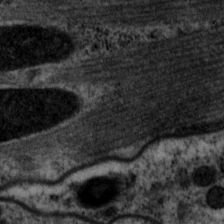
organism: P. pacificus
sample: Pharynx